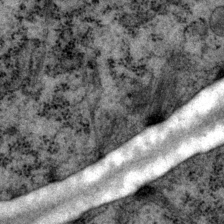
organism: P. pacificus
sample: Pharynx